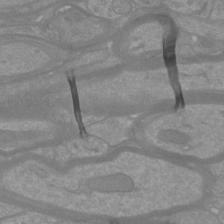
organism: Mouse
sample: Cortical neurons